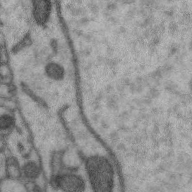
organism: Zebra finch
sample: Brain